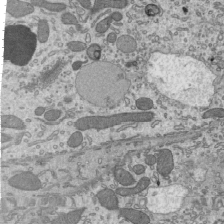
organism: Mouse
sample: Mouse epididymis efferent ductule cilia